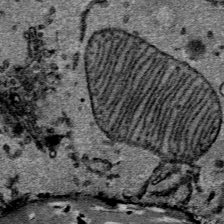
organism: Mouse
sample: Mouse Salivary gland